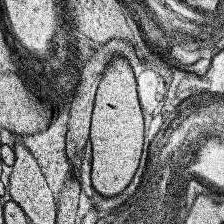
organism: Human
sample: Temporal Lobe